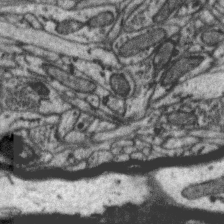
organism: Zebra finch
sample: Brain